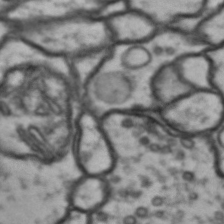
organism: Drosophila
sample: Brain